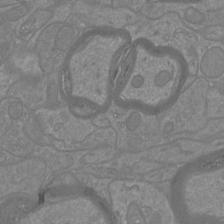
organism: Mouse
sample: Cortical neurons